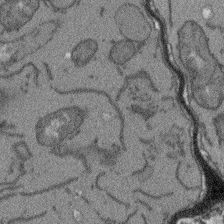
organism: Arabidopsis thaliana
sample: Root tip